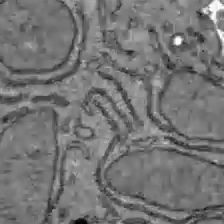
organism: C57BL Mouse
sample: Liver